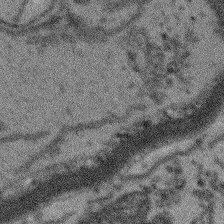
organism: Arabidopsis thaliana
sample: Root tip